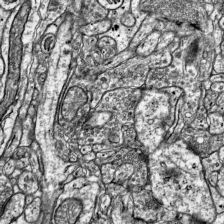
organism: Mouse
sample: Visual Cortex